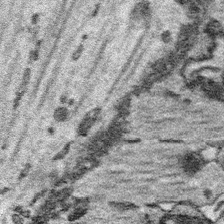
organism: Platynereis dumerilii